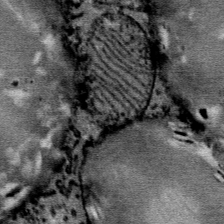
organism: Mouse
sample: Mouse Salivary gland